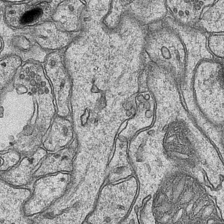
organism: Mouse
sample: CA1 Hippocampus